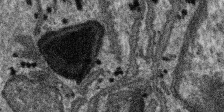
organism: Human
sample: Lung epithelial cells infected with SARS-CoV-2